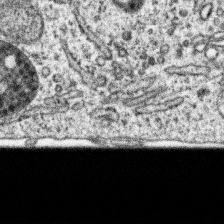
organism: Human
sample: HeLa cells